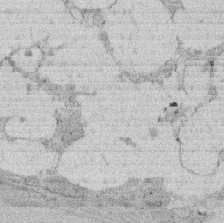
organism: Rat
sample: Salivary granule